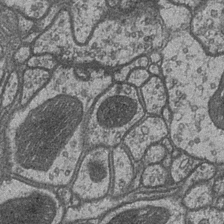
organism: Drosophila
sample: Optic medulla